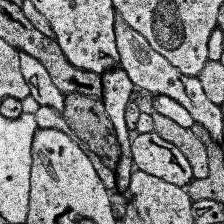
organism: Human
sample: Temporal Lobe